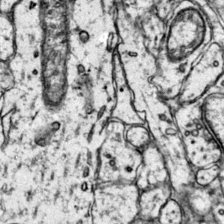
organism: Mouse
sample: Primary visual cortex